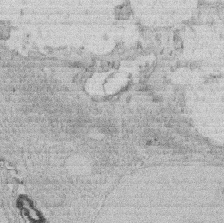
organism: Rat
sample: Salivary granule